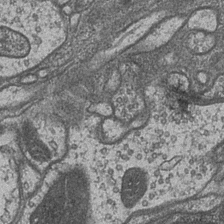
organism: Drosophila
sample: Optic medulla